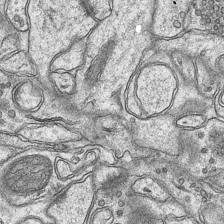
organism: Mouse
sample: CA1 Hippocampus